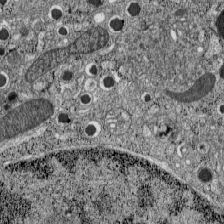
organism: C57BL Mouse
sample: Pancreatic islet